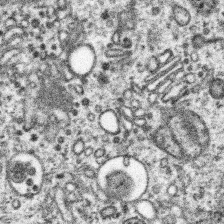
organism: Human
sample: HeLa cells